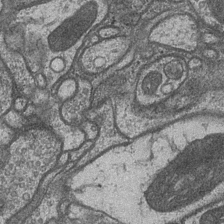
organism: Drosophila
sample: Optic medulla